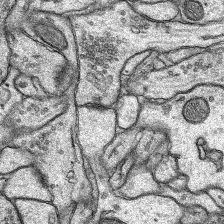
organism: Rat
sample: Hippocampus